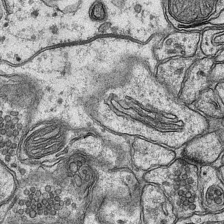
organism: Mouse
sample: CA1 Hippocampus